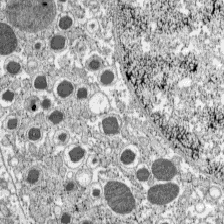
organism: C57BL Mouse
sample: Pancreatic islet